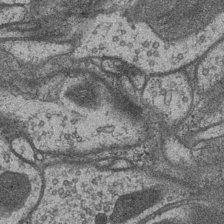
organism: Drosophila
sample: Optic medulla